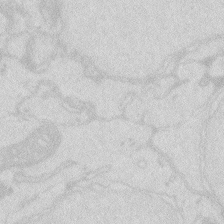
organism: Zebrafish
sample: Macrophage